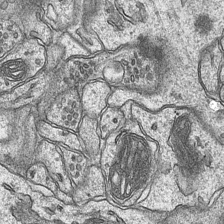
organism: Mouse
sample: CA1 Hippocampus